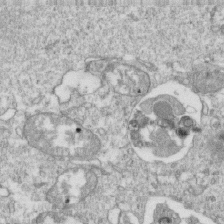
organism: Mouse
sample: Activated OT-1 CD8+ T cells